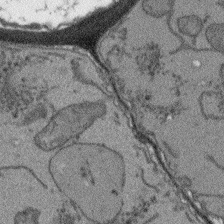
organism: Arabidopsis thaliana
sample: Root tip